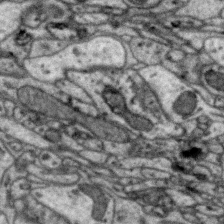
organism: Zebra finch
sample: Brain